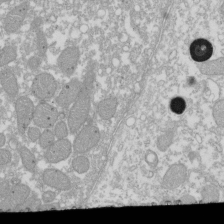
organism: Xenopus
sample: Cilia; centrioles in frog embryo cells